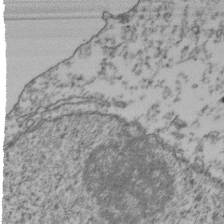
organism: Human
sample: Activated Jurkat CD4+ T cells